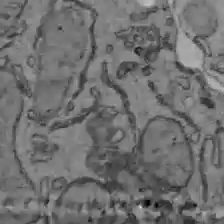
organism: C57BL Mouse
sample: Liver